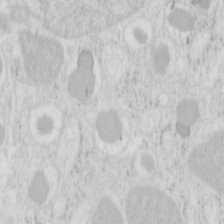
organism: Mouse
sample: Pancreas